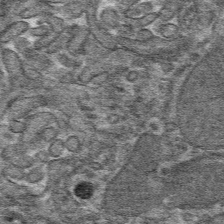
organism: Mouse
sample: Mouse hepatocytes